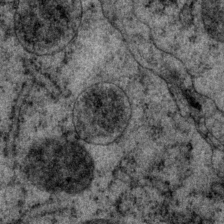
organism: P. pacificus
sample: Pharynx